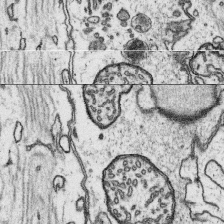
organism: Platynereis dumerilii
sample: Parapodia